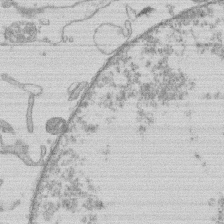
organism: Human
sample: Macrophage cells